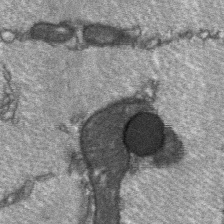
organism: C57BL Mouse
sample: Soleus